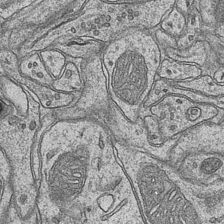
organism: Mouse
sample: CA1 Hippocampus